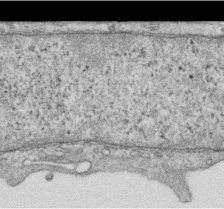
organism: Human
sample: Centriole in RPE cells